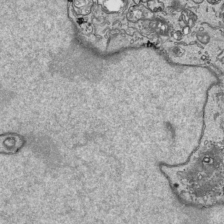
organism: Human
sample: Mitochondria in HCT116 cells